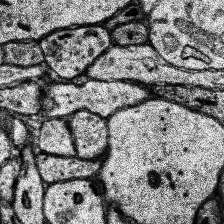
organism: Human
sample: Temporal Lobe